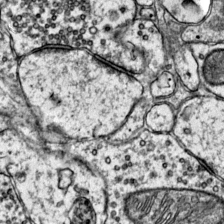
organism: Mouse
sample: Primary visual cortex